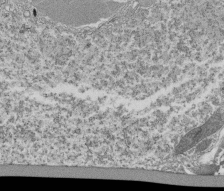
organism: Tetrahymena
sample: Cilia in tetrahymena